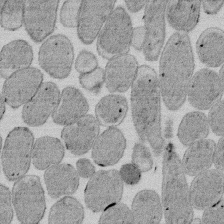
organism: E. coli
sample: Bacterial nucleoid